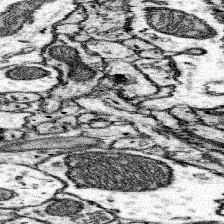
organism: Mouse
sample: Somatosensory cortex neuropil